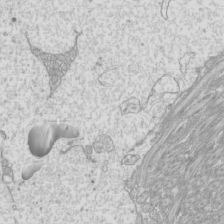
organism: Mouse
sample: Cilia; mouse epididymis